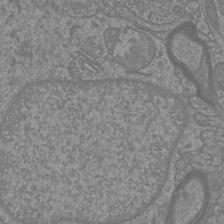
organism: Mouse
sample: Cortical neurons